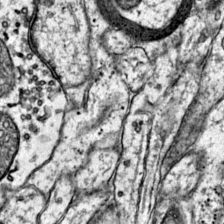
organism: Mouse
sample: Primary visual cortex